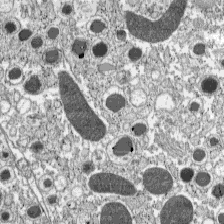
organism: C57BL Mouse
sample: Pancreatic islet